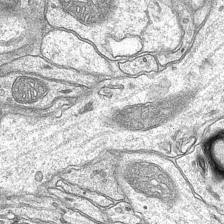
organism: Mouse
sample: CA1 Hippocampus